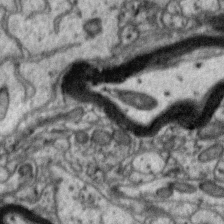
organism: Zebra finch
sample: Brain